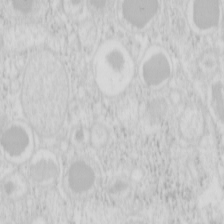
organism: Mouse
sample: Pancreas